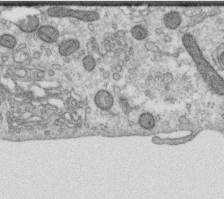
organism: Human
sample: Centriole in RPE cells